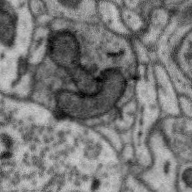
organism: Zebra finch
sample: Brain